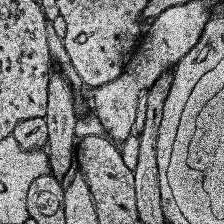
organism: Human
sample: Temporal Lobe